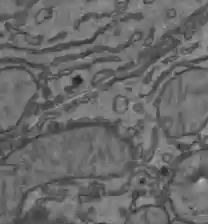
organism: C57BL Mouse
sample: Liver